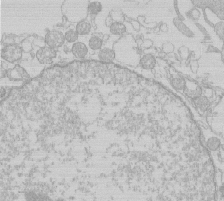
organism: Human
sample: Macrophage cells